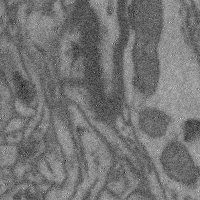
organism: Mouse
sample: Cerebral cortex